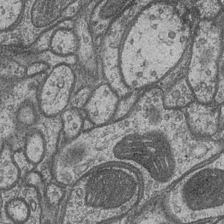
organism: Drosophila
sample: Optic medulla